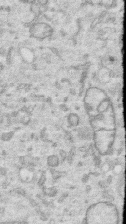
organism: Human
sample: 1205lu cells